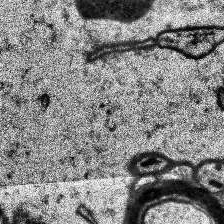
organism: Human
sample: Temporal Lobe